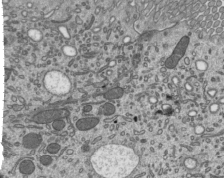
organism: Mouse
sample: Mouse epididymis efferent ductule cilia